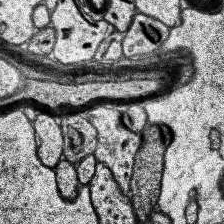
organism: Human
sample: Temporal Lobe